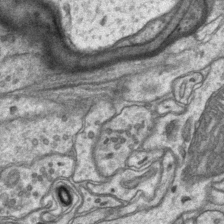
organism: Mouse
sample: CA1 Hippocampus